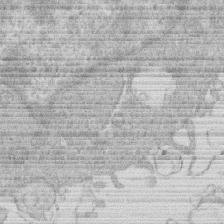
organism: Human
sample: Macrophage cells